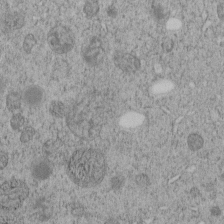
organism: C. elegans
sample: C. elegans embryo early stage